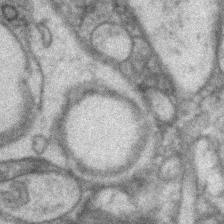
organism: Zebrafish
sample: Zebrafish embryo